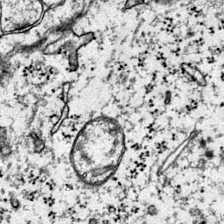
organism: Mouse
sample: Primary visual cortex